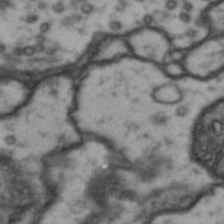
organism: Drosophila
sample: Brain